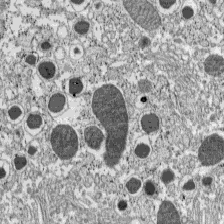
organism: C57BL Mouse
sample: Pancreatic islet